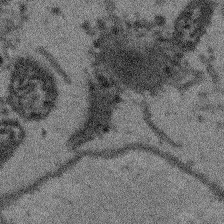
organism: Arabidopsis thaliana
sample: Root tip